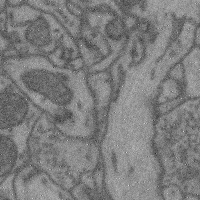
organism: Mouse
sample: Cerebral cortex